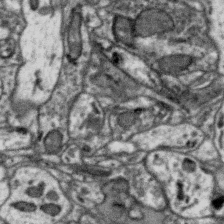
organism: Zebra finch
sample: Brain